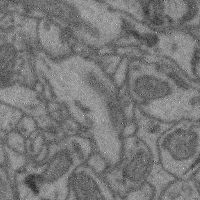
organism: Mouse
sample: Cerebral cortex